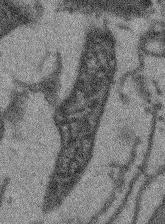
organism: Arabidopsis thaliana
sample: Root tip